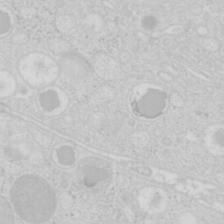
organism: Mouse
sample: Pancreas